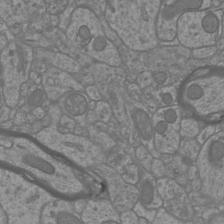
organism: Mouse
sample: Cortical neurons